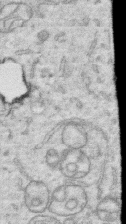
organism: Human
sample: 1205lu cells